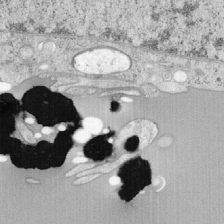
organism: Human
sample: HeLa cells